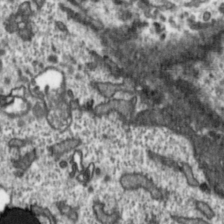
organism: Toxoplasma gondii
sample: Parasites in a vacuole inside a host cell